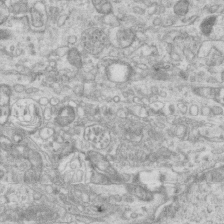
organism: Mouse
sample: Centriole in ependymal cells